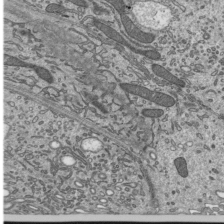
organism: Mouse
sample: Mouse epididymis efferent ductule cilia